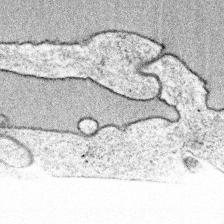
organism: Human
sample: HeLa cells